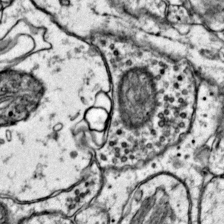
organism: Mouse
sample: Primary visual cortex